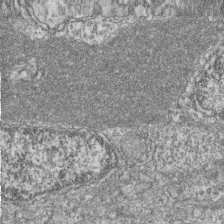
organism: Zebrafish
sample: Cilia; retinal pigment epithelium